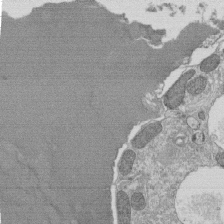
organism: Tetrahymena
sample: Cilia in tetrahymena